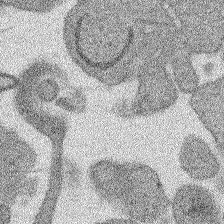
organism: Human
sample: HeLa cells